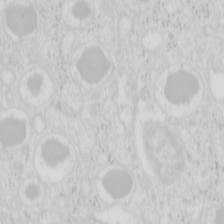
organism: Mouse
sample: Pancreas